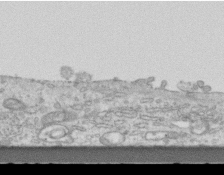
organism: Mouse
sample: Centriole in ependymal cells